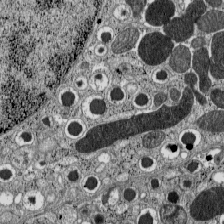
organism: C57BL Mouse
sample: Pancreatic islet